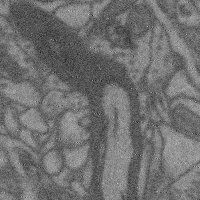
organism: Mouse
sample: Cerebral cortex